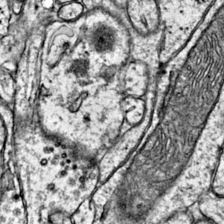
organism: Mouse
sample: Primary visual cortex